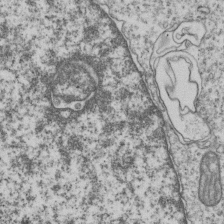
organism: Human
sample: MDA-MB-231 cells